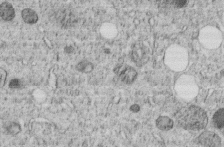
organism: C. elegans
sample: C. elegans embryo early stage